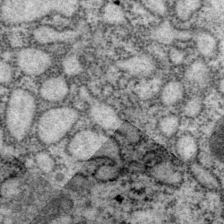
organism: P. pacificus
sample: Pharynx